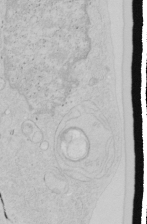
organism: Human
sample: Mitochondria in HCT116 cells